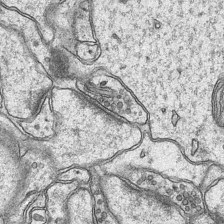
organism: Mouse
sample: CA1 Hippocampus